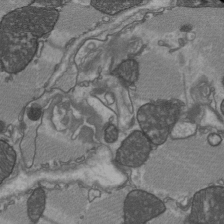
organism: C57BL Mouse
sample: Heart